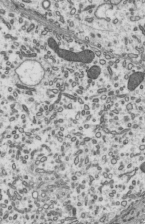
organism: Mouse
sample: Mouse epididymis efferent ductule cilia